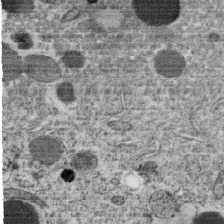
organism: C. elegans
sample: C. elegans oocyte; sperm cells